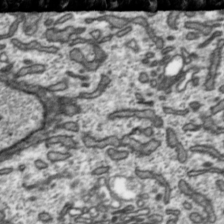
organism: Toxoplasma gondii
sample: Parasites in a vacuole inside a host cell